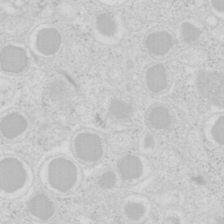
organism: Mouse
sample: Pancreas